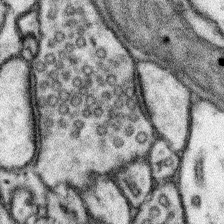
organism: Mouse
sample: Somatosensory cortex neuropil